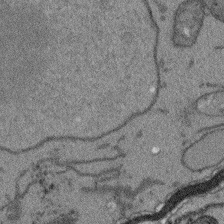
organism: Arabidopsis thaliana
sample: Root tip